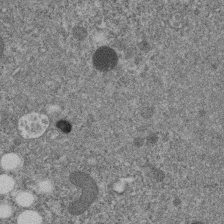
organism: C. elegans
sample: C. elegans embryo early stage